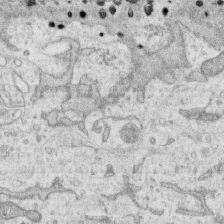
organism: Human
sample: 1205lu cells